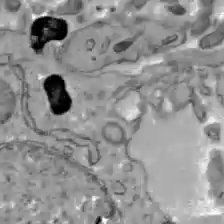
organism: C57BL Mouse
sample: Liver